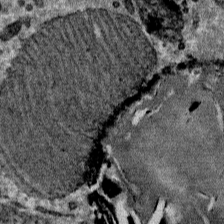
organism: Mouse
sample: Mouse Salivary gland